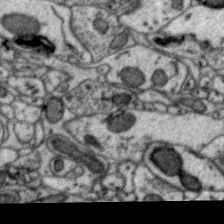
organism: Zebra finch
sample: Brain